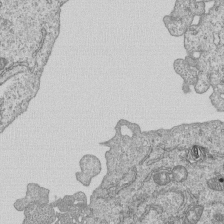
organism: Human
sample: MDA-MB-231 cells